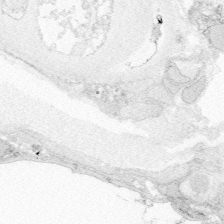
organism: Zebrafish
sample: Whole-Brain